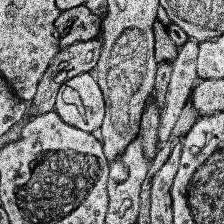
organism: Human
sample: Temporal Lobe